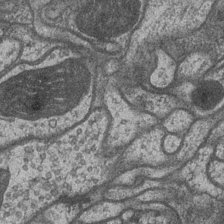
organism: Drosophila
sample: Optic medulla